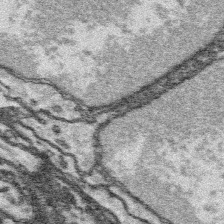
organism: Platynereis dumerilii